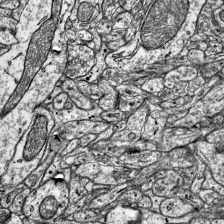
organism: Mouse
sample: Visual Cortex